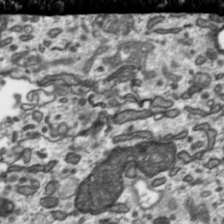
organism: Toxoplasma gondii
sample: Parasites in a vacuole inside a host cell